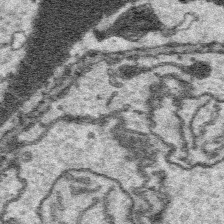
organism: Platynereis dumerilii